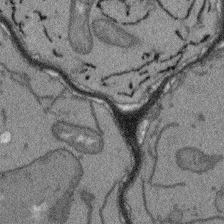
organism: Arabidopsis thaliana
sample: Root tip